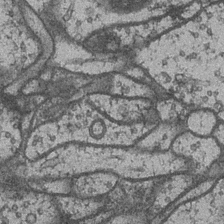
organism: Drosophila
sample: Optic medulla